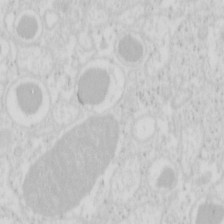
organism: Mouse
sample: Pancreas